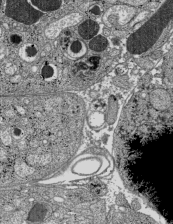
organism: C57BL Mouse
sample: Pancreatic islet